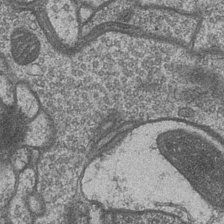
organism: Drosophila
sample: Optic medulla